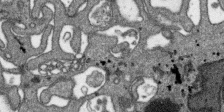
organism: Human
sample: Lung epithelial cells, uninfected (mock) control